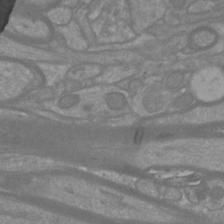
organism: Mouse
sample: Cortical neurons